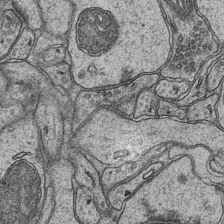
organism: Mouse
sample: CA1 Hippocampus